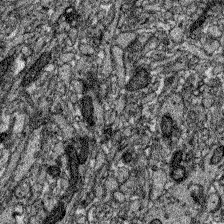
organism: Zebrafish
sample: Larval olfactory bulb